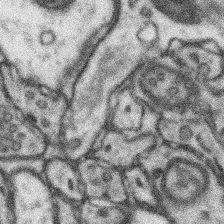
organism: Mouse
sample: Somatosensory cortex neuropil